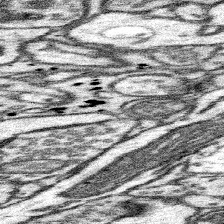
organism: Mouse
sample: Somatosensory cortex neuropil